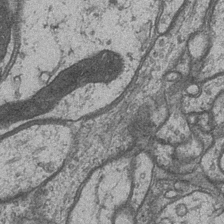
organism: Drosophila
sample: Optic medulla